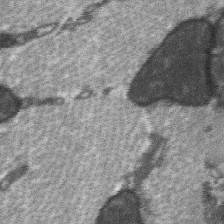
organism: C57BL Mouse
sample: Soleus